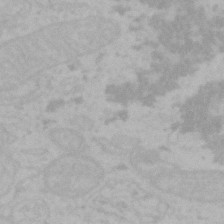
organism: Mouse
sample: Choroid plexus